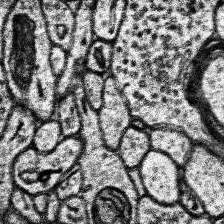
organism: Human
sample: Temporal Lobe